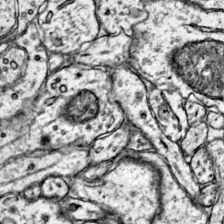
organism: Mouse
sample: Primary visual cortex